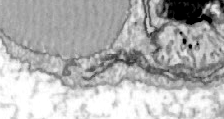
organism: Zebrafish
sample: Actinotrichia fibers